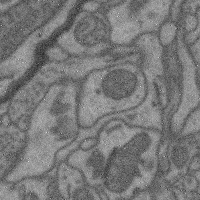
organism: Mouse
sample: Cerebral cortex